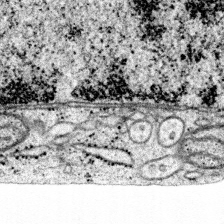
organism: Human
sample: HeLa cells